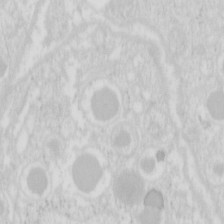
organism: Mouse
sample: Pancreas